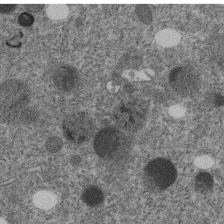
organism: C. elegans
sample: C. elegans embryo early stage